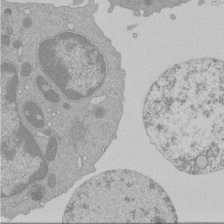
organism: Mouse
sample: Activated Pmel transgenic CD8+ T Cells